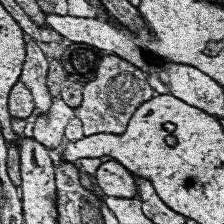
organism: Human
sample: Temporal Lobe